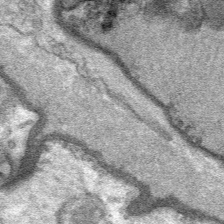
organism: Mouse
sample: Mouse Salivary gland